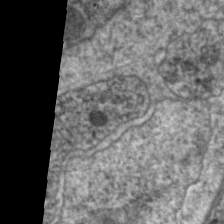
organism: C. elegans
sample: Pharynx